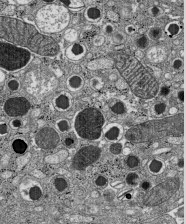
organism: C57BL Mouse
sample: Pancreatic islet